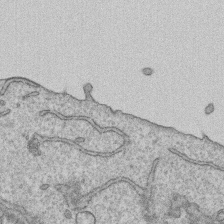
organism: Human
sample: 1205lu cells